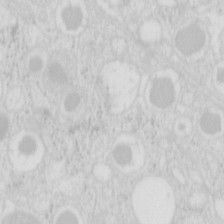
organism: Mouse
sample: Pancreas